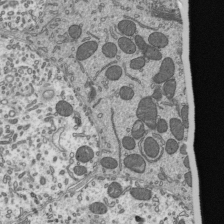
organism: Mouse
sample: Mouse epididymis efferent ductule cilia